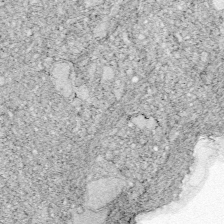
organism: Zebrafish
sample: Whole-Brain